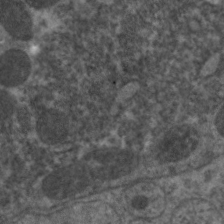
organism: C. elegans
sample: Pharynx